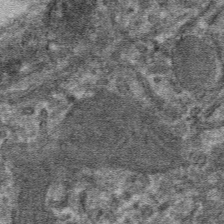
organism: Mouse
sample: Mouse hepatocytes